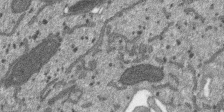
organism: Human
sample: Lung epithelial cells infected with SARS-CoV-2